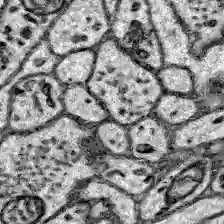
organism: Zebrafish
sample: Brain